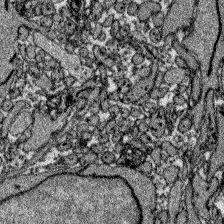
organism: Zebrafish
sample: Larval olfactory bulb